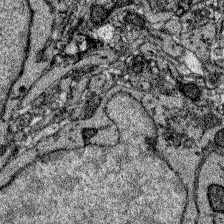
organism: Zebrafish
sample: Larval olfactory bulb